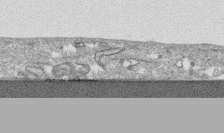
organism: Human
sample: CRL-1474